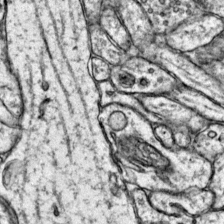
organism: Mouse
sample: Primary visual cortex